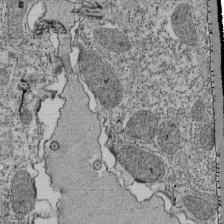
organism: Tetrahymena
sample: Cilia in tetrahymena